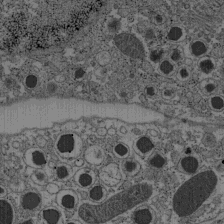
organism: C57BL Mouse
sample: Pancreatic islet